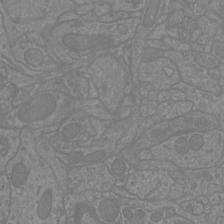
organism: Mouse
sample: Cortical neurons